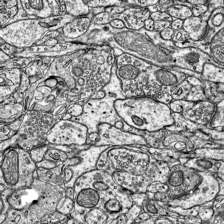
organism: Mouse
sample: Visual Cortex